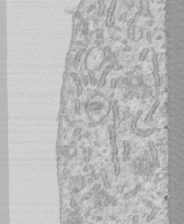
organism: Human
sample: CRL-1474